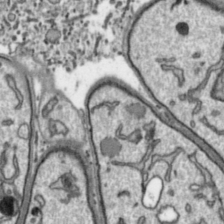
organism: Toxoplasma gondii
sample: Parasites in a vacuole inside a host cell